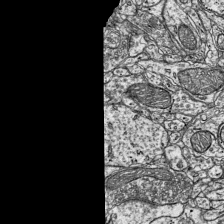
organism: Mouse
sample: Visual Cortex